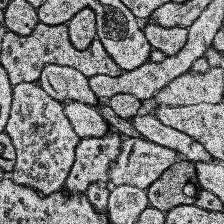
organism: Human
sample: Temporal Lobe